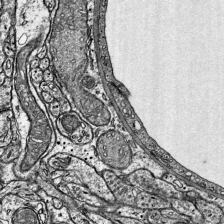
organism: Mouse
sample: Visual Cortex